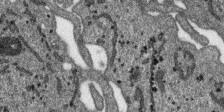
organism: Human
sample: Lung epithelial cells infected with SARS-CoV-2